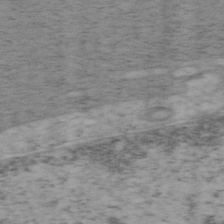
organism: Mouse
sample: OT-I killer T cells with ID8 ovarian cancer cells